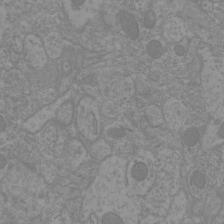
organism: Mouse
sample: Cortical neurons